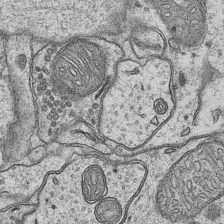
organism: Mouse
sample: CA1 Hippocampus